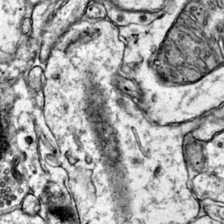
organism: Mouse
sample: Primary visual cortex